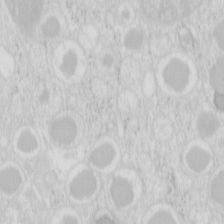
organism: Mouse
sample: Pancreas